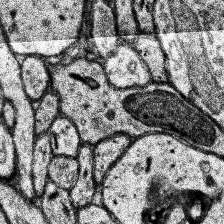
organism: Human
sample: Temporal Lobe